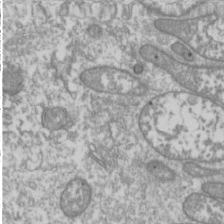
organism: Drosophila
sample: Cell division; meiosis; drosophila spermatocytes